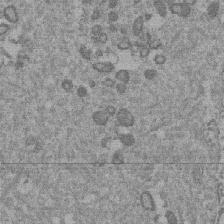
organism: Mouse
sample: Dividing mouse embryo 1 cell stage